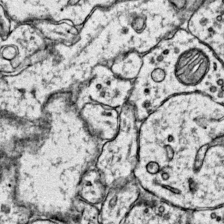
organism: Mouse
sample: Primary visual cortex